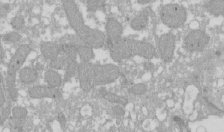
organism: Xenopus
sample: Cilia; centrioles in frog embryo cells